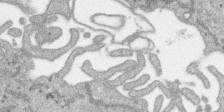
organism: Human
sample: Lung epithelial cells infected with SARS-CoV-2